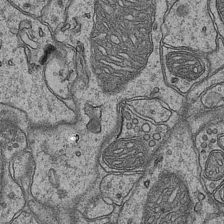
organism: Mouse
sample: CA1 Hippocampus